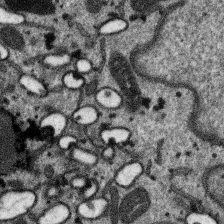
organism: Human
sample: Lung epithelial cells infected with SARS-CoV-2